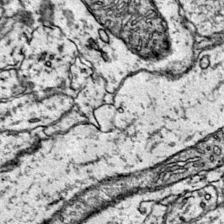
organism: Mouse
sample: Primary visual cortex